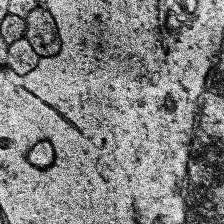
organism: Human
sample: Temporal Lobe